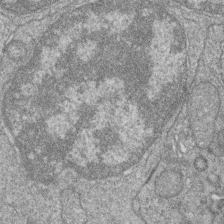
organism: Zebrafish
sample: Cilia; retinal pigment epithelium